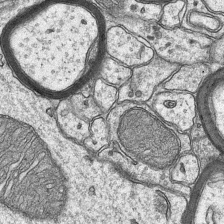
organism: Mouse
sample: CA1 Hippocampus